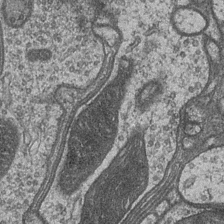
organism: Drosophila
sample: Optic medulla